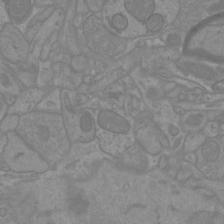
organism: Mouse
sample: Cortical neurons